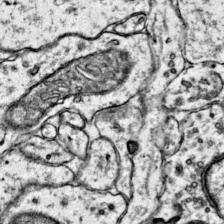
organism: Mouse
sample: Primary visual cortex